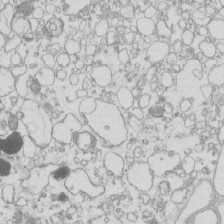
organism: Mouse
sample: Macrophages